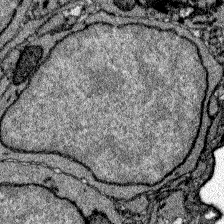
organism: Zebrafish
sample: Larval olfactory bulb